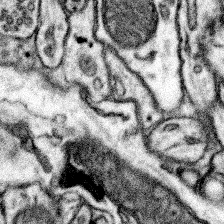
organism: Mouse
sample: Somatosensory cortex neuropil